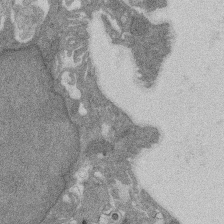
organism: Rat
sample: Salivary granule